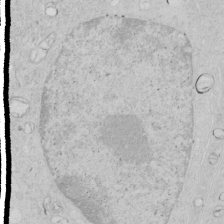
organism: Human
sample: Mitochondria in HCT116 cells